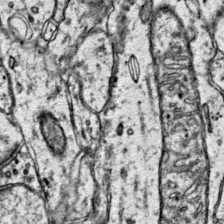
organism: Mouse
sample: Primary visual cortex